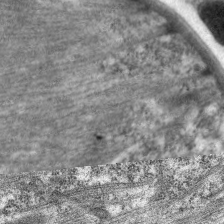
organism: C. elegans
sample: Pharynx